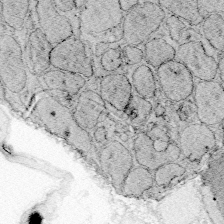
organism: Zebrafish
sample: Whole-Brain